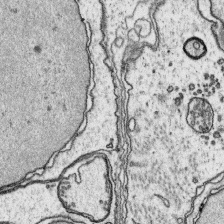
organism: Platynereis dumerilii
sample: Parapodia